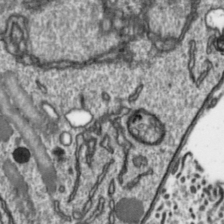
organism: Toxoplasma gondii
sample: Parasites in a vacuole inside a host cell